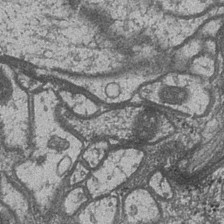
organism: Drosophila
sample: Optic medulla